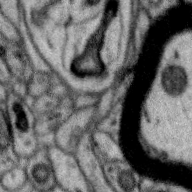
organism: Zebra finch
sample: Brain